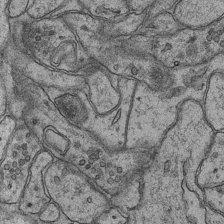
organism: Mouse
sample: CA1 Hippocampus